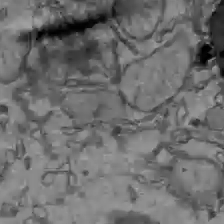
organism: C57BL Mouse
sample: Liver